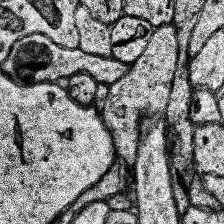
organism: Human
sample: Temporal Lobe